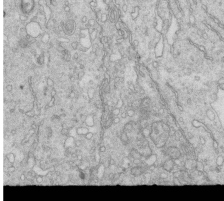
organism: Mouse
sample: Multiciliated cells